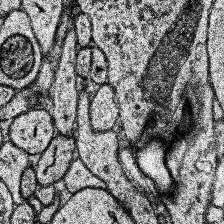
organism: Human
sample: Temporal Lobe